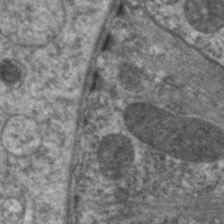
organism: C. elegans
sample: Pharynx